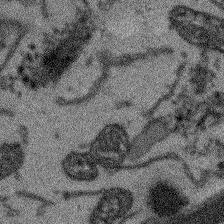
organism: Arabidopsis thaliana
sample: Root tip